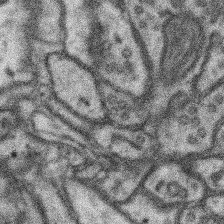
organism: Mouse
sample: Somatosensory cortex neuropil